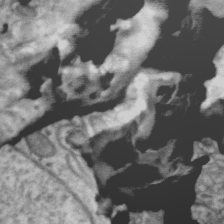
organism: Zebra finch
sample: Brain